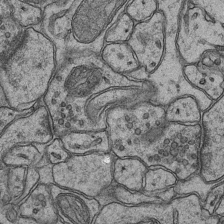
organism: Mouse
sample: CA1 Hippocampus